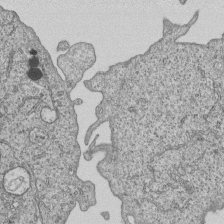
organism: Human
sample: MDA-MB-231 cells